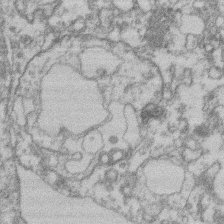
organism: Mouse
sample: T cell stromal cell synapse